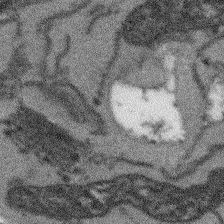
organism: Arabidopsis thaliana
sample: Root tip